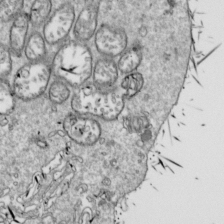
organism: Drosophila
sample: Cell division; meiosis; drosophila spermatocytes